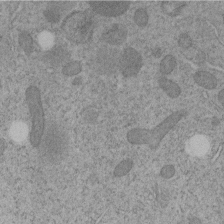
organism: C. elegans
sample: C. elegans embryo early stage